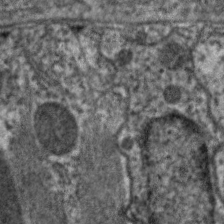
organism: C. elegans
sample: Pharynx